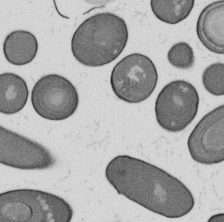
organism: B. subtilis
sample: Bacterial spore